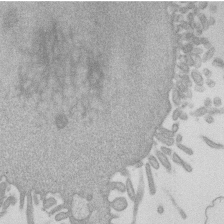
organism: Mouse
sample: Dividing mouse embryo 1 cell stage